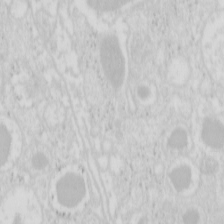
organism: Mouse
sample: Pancreas